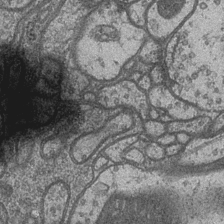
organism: Drosophila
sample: Optic medulla